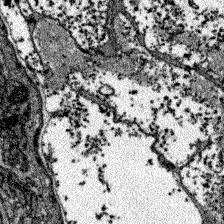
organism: Zebrafish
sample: Larval olfactory bulb